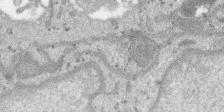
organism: Human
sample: Lung epithelial cells infected with SARS-CoV-2